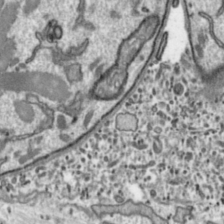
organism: Toxoplasma gondii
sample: Parasites in a vacuole inside a host cell